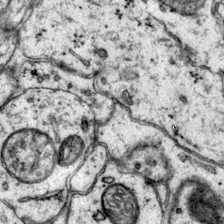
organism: Mouse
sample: Primary visual cortex